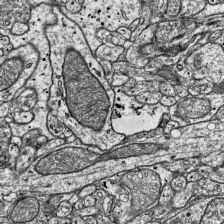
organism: Mouse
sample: Visual Cortex